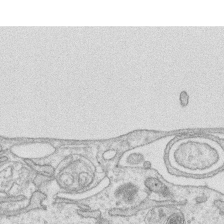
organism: Human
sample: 1205lu cells